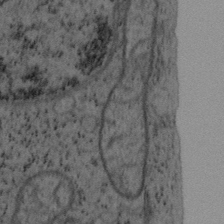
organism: Human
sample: HeLa cells